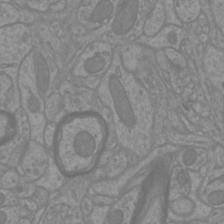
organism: Mouse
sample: Cortical neurons